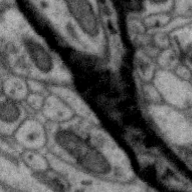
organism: Zebra finch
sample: Brain